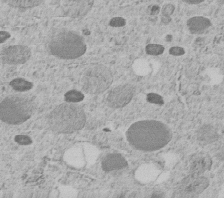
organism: C. elegans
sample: C. elegans embryo early stage